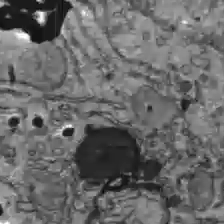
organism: C57BL Mouse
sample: Liver